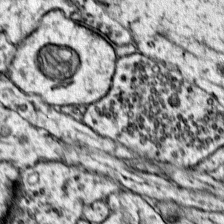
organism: Mouse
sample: Primary visual cortex